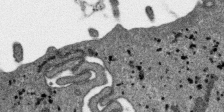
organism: Human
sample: Lung epithelial cells, uninfected (mock) control